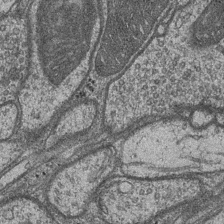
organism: Drosophila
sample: Optic medulla